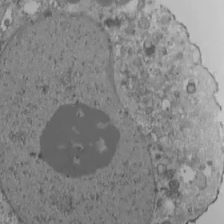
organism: Human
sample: Jurkat E6-1 and CD4 cells